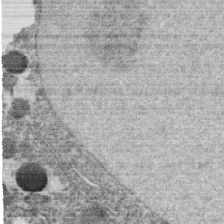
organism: C. elegans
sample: C. elegans oocyte; sperm cells